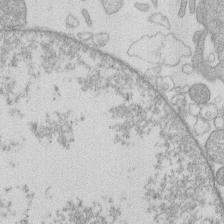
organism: Human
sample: Macrophage cells